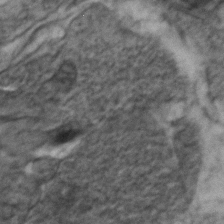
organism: Zebrafish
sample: Zebrafish embryo